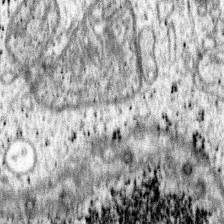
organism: Human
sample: HeLa cells